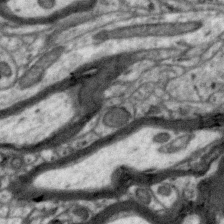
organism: Zebra finch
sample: Brain